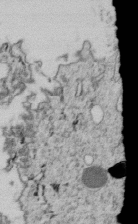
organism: C. elegans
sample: C. elegans embryo early stage